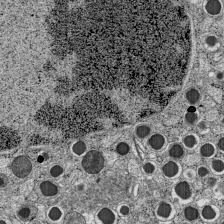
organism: C57BL Mouse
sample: Pancreatic islet